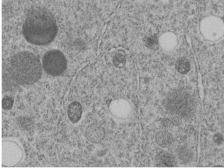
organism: C. elegans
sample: C. elegans embryo early stage